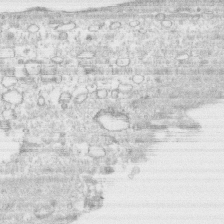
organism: Human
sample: CRL-1474